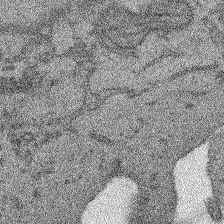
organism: Human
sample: HeLa cells